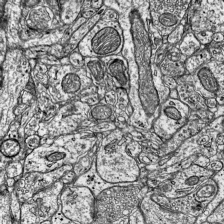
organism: Mouse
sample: Visual Cortex